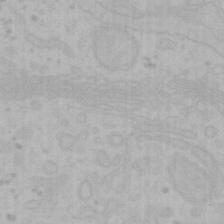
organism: Mouse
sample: Choroid plexus